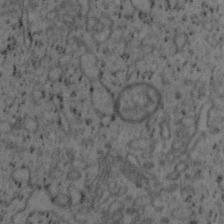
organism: Human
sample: HeLa cells